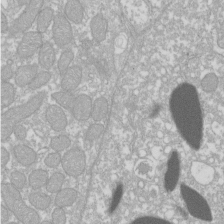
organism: Xenopus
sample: Cilia; centrioles in frog embryo cells